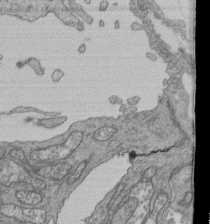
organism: Human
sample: Retinal organoid Rod and Cone cells